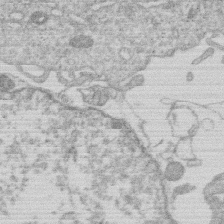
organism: Human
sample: Macrophage cells